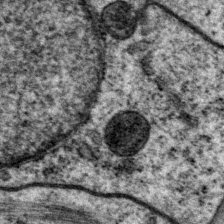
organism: P. pacificus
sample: Pharynx